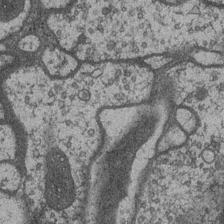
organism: Drosophila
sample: Optic medulla